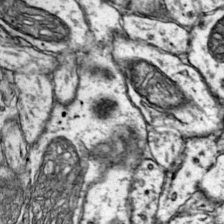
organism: Mouse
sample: Primary visual cortex